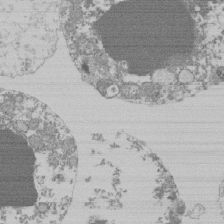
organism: Mouse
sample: Activated Pmel transgenic CD8+ T Cells